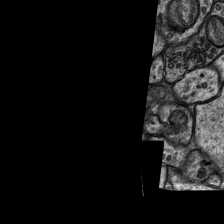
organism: Rat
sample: Hippocampus